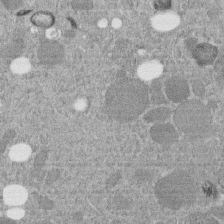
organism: C. elegans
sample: C. elegans embryo early stage